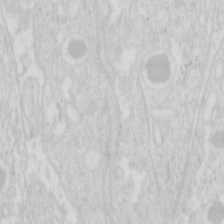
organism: Mouse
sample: Pancreas